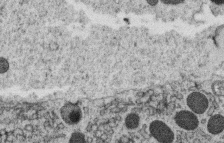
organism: C. elegans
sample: C. elegans oocyte; sperm cells